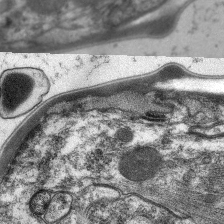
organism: C. elegans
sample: Pharynx